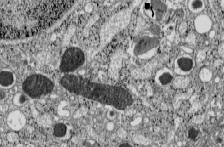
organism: C57BL Mouse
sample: Pancreatic islet